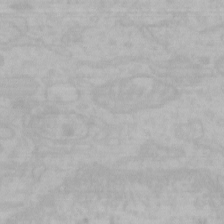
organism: Mouse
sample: Choroid plexus